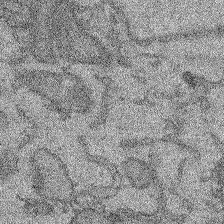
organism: Human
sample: HeLa cells